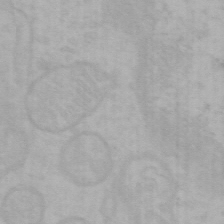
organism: Mouse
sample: Choroid plexus